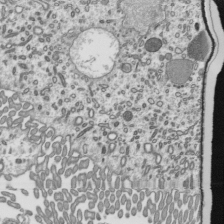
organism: Mouse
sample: Mouse epididymis efferent ductule cilia